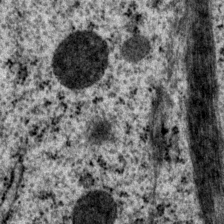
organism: P. pacificus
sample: Pharynx